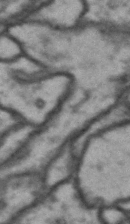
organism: Drosophila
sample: Brain